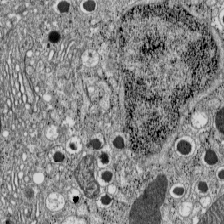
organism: C57BL Mouse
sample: Pancreatic islet